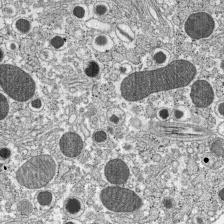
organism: C57BL Mouse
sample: Pancreatic islet